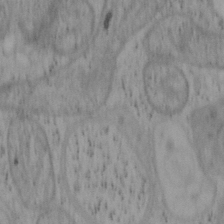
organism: Mouse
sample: OT-I killer T cells with ID8 ovarian cancer cells